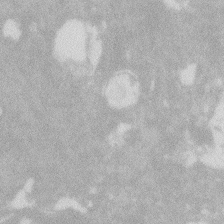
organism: Zebrafish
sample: Macrophage